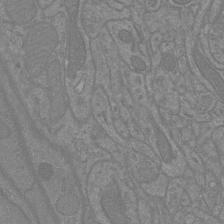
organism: Mouse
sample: Cortical neurons